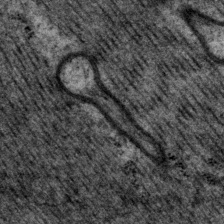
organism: P. pacificus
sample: Pharynx